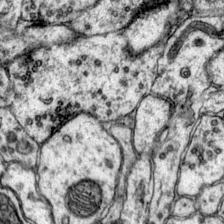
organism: Mouse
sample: Primary visual cortex